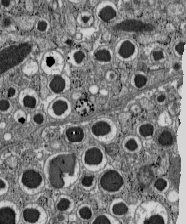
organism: C57BL Mouse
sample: Pancreatic islet